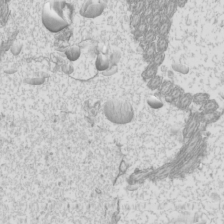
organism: Mouse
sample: Cilia; mouse epididymis